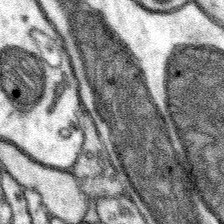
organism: Mouse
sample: Somatosensory cortex neuropil